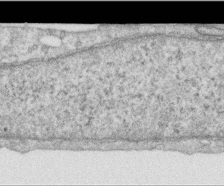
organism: Human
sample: Centriole in RPE cells